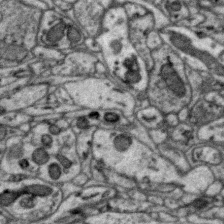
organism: Zebra finch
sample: Brain